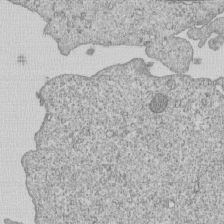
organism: Human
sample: MDA-MB-231 cells